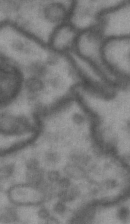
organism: Drosophila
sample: Brain